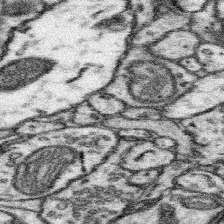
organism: Mouse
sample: Somatosensory cortex neuropil